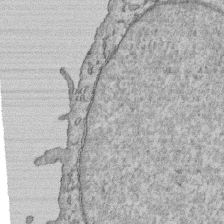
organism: Human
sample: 1205lu cells